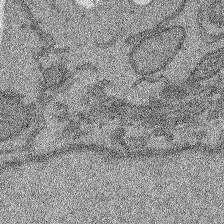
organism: Human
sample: HeLa cells